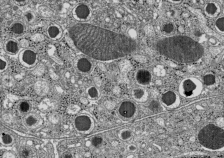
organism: C57BL Mouse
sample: Pancreatic islet